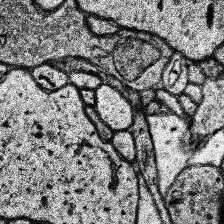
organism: Human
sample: Temporal Lobe